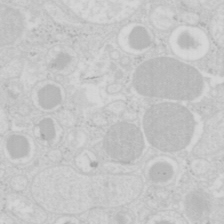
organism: Mouse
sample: Pancreas